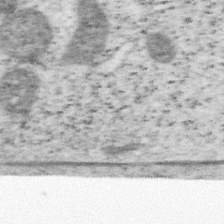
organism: Mouse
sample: OT-I killer T cells with ID8 ovarian cancer cells